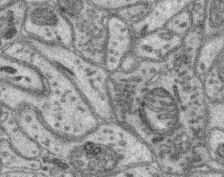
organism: Mouse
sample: Retina